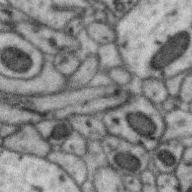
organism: Zebra finch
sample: Brain